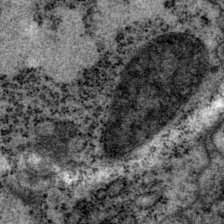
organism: P. pacificus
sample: Pharynx